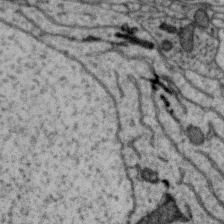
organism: Zebra finch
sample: Brain